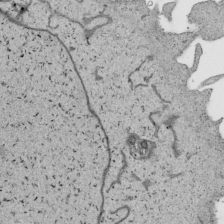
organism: Human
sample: Mitochondria in HCT116 cells